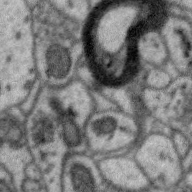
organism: Zebra finch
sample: Brain